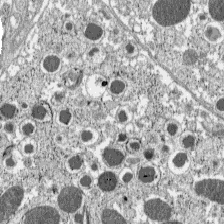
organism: C57BL Mouse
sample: Pancreatic islet